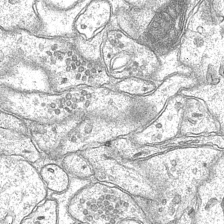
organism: Mouse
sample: CA1 Hippocampus